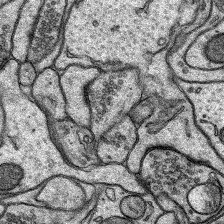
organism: Rat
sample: Hippocampus